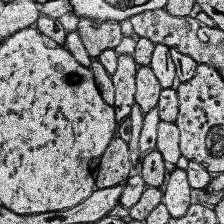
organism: Human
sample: Temporal Lobe